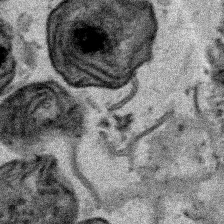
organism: Human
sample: Mitochondria in HCT116 cells